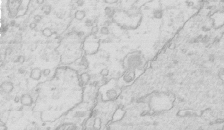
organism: Mouse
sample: Multiciliated cells